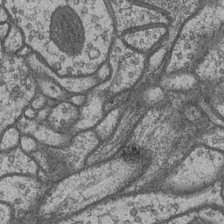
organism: Drosophila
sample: Optic medulla